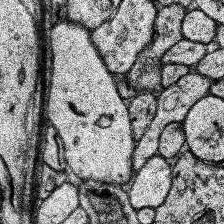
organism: Human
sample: Temporal Lobe